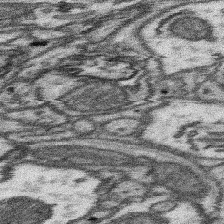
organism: Mouse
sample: Somatosensory cortex neuropil